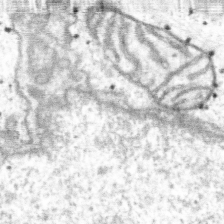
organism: Human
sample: HeLa cells